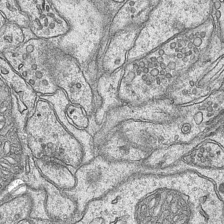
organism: Mouse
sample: CA1 Hippocampus